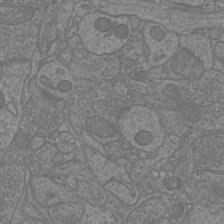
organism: Mouse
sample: Cortical neurons